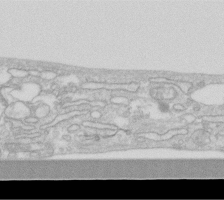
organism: Human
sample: Fibroblast cells